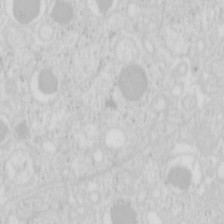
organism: Mouse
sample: Pancreas